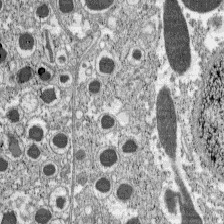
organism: C57BL Mouse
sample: Pancreatic islet